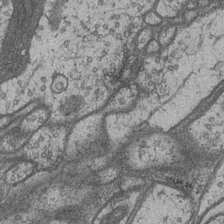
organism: Drosophila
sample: Optic medulla